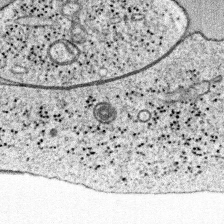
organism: Human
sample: HeLa cells